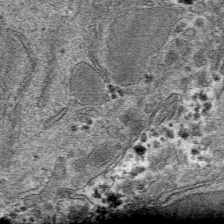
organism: Mouse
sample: Mouse hepatocytes